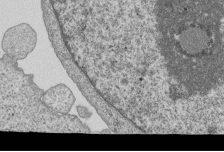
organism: Human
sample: MDA-MB-231 cells